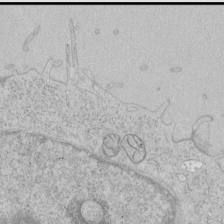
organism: Human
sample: Mitochondria in HCT116 cells